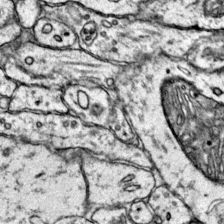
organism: Mouse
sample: Primary visual cortex